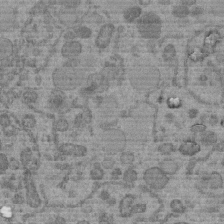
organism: C. elegans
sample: C. elegans embryo early stage